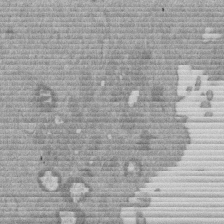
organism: Mouse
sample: Dividing mouse embryo 1 cell stage